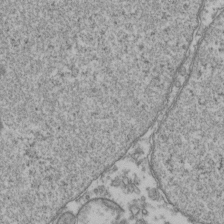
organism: Human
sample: Activated Jurkat CD4+ T cells